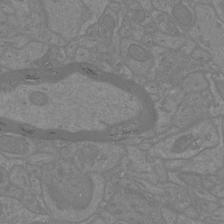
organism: Mouse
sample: Cortical neurons